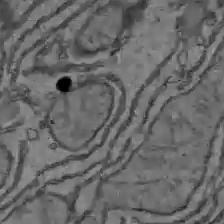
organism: C57BL Mouse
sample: Liver